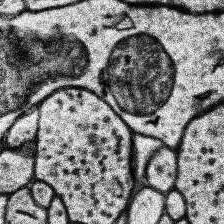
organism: Human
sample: Temporal Lobe